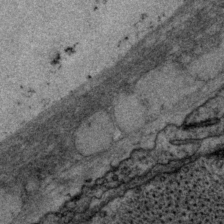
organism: P. pacificus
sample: Pharynx